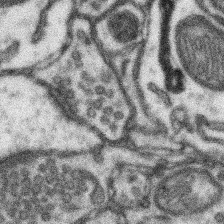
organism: Mouse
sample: Somatosensory cortex neuropil